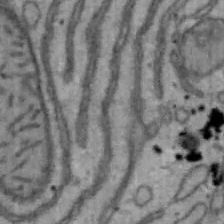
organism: Mouse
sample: Liver